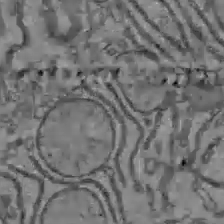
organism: C57BL Mouse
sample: Liver